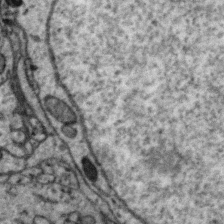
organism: Zebra finch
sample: Brain